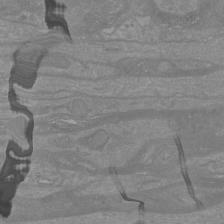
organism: Mouse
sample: Cortical neurons